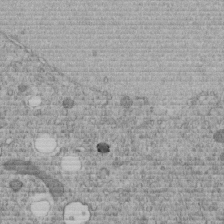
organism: C. elegans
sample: C. elegans embryo early stage